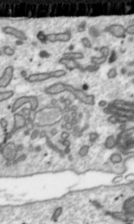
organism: Toxoplasma gondii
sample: Parasites in a vacuole inside a host cell